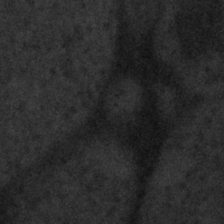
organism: Tuwongella immobilis